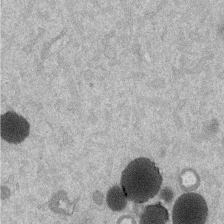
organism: Mouse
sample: Dividing mouse embryo 1 cell stage